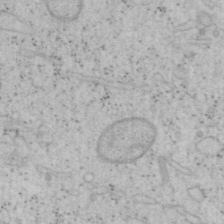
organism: Human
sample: HeLa cells